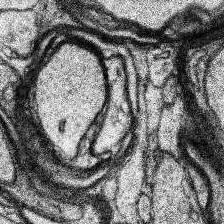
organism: Human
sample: Temporal Lobe